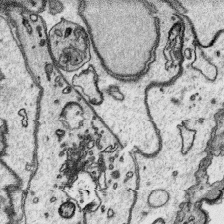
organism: Platynereis dumerilii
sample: Parapodia